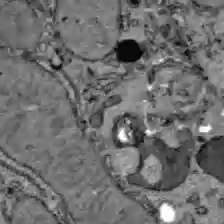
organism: C57BL Mouse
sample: Liver